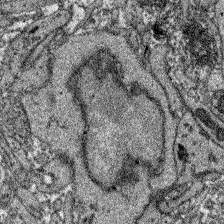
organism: Zebrafish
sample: Larval olfactory bulb